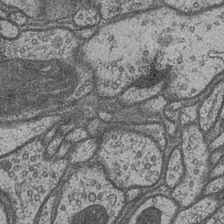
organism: Drosophila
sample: Optic medulla